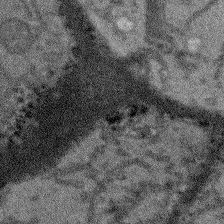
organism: Arabidopsis thaliana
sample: Root tip